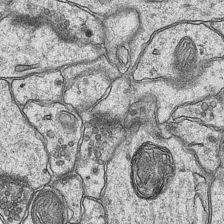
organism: Mouse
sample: CA1 Hippocampus